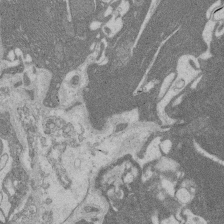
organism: Rat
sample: Salivary granule